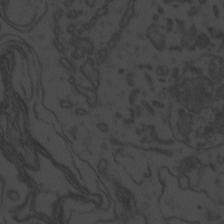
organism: Zebrafish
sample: Macrophage infected with Toxoplasma gondii